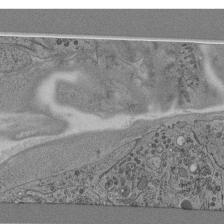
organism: C. elegans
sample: C. elegans pharynx